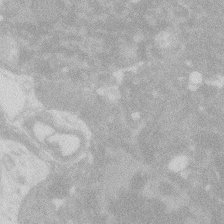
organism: Zebrafish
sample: Macrophage